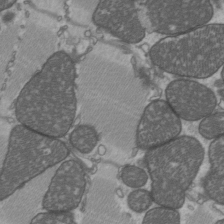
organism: C57BL Mouse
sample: Heart